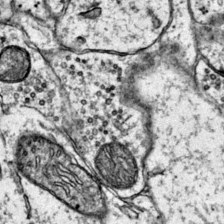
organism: Mouse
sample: Primary visual cortex